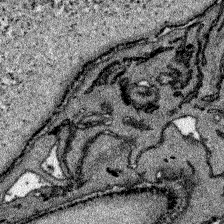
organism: Zebrafish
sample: Larval olfactory bulb